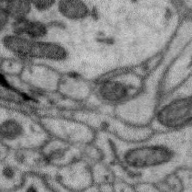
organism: Zebra finch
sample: Brain